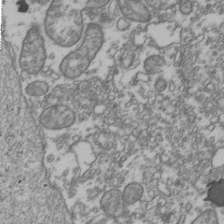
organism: Human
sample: Activated Jurkat CD4+ T cells